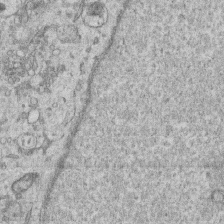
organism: Human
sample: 1205lu cells